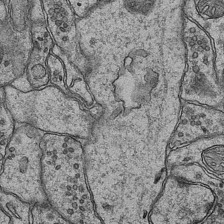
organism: Mouse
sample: CA1 Hippocampus